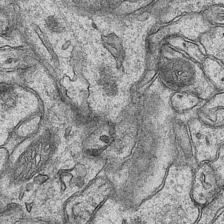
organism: Mouse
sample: CA1 Hippocampus